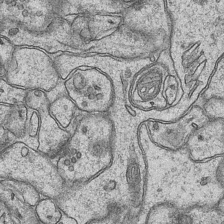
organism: Mouse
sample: CA1 Hippocampus